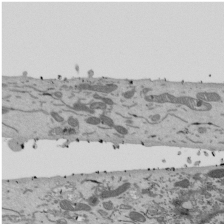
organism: Mouse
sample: ED-1 cell nuclei; centrioles